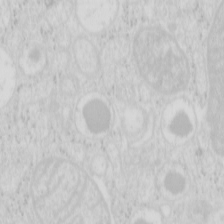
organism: Mouse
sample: Pancreas